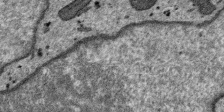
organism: Human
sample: Lung epithelial cells, uninfected (mock) control